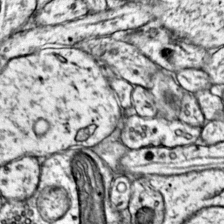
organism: Mouse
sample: Primary visual cortex